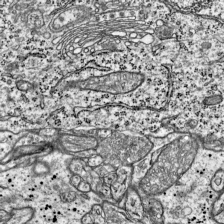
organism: Mouse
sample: Visual Cortex